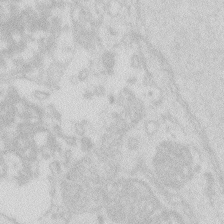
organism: Zebrafish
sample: Macrophage